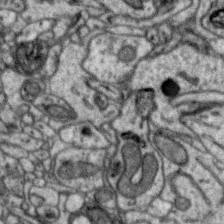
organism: Zebra finch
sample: Brain